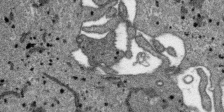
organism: Human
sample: Lung epithelial cells, uninfected (mock) control